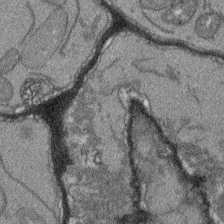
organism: Arabidopsis thaliana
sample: Root tip